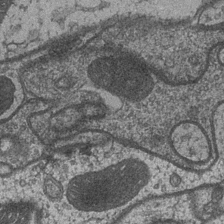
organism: Drosophila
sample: Optic medulla